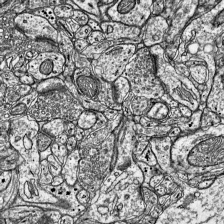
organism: Mouse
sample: Visual Cortex